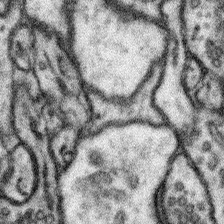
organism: Mouse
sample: Somatosensory cortex neuropil